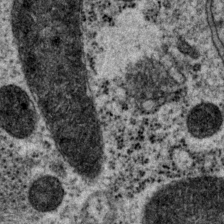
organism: P. pacificus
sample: Pharynx